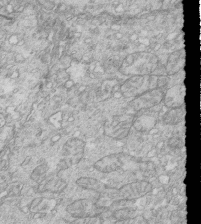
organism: Mouse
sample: Multiciliated cells